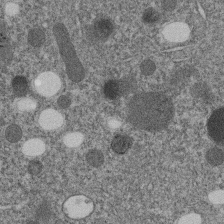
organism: C. elegans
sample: C. elegans embryo early stage